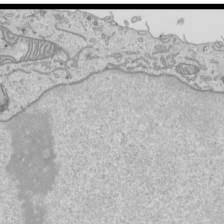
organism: Human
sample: Mitochondria in HCT116 cells